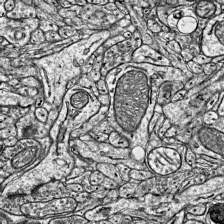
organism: Mouse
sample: Visual Cortex